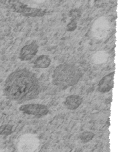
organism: C. elegans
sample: C. elegans embryo early stage